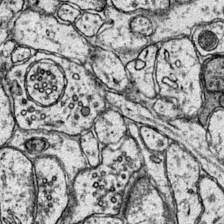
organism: Mouse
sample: Primary visual cortex